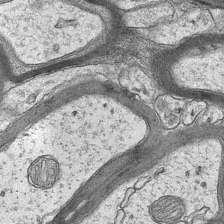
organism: Mouse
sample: CA1 Hippocampus